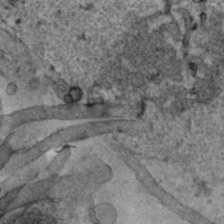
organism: Human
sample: Mitochondria in HCT116 cells